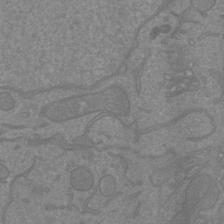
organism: Mouse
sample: Cortical neurons